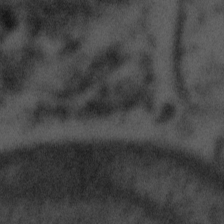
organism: Tuwongella immobilis